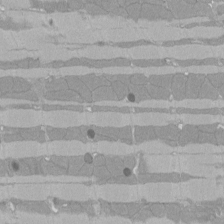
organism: Rat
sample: Left ventricle